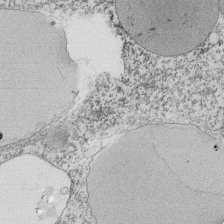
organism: Tetrahymena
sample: Cilia in tetrahymena